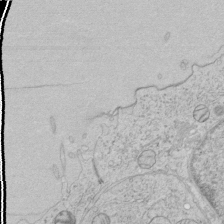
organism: Human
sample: Mitochondria in HCT116 cells